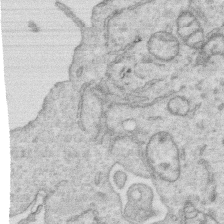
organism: Human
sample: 1205lu cells